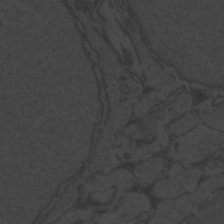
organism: Zebrafish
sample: Macrophage infected with Toxoplasma gondii